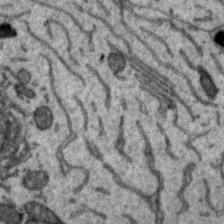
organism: Zebra finch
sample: Brain